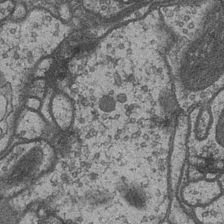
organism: Drosophila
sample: Optic medulla